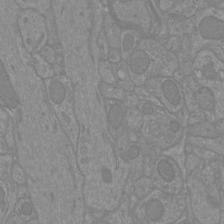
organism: Mouse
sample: Cortical neurons